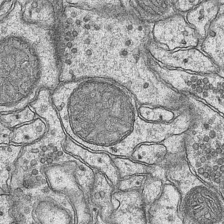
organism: Mouse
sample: CA1 Hippocampus